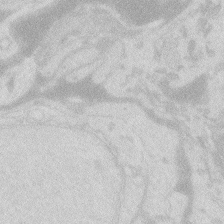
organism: Zebrafish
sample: Macrophage